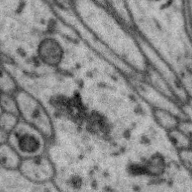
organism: Zebra finch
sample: Brain